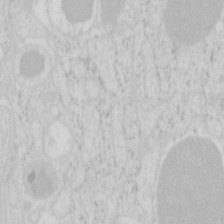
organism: Mouse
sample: Pancreas